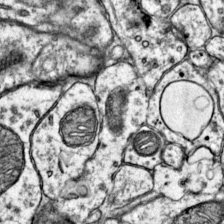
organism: Mouse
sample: Primary visual cortex